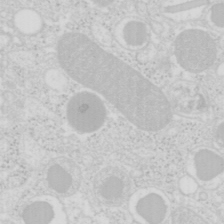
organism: Mouse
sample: Pancreas